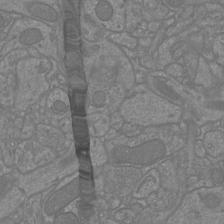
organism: Mouse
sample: Cortical neurons